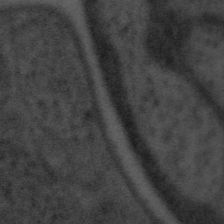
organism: Tuwongella immobilis